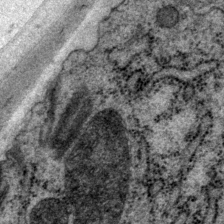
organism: P. pacificus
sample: Pharynx